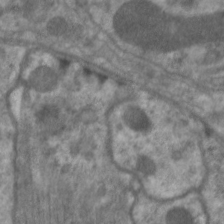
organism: C. elegans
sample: Pharynx